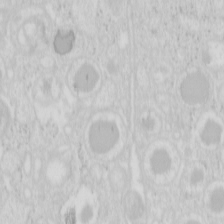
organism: Mouse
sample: Pancreas